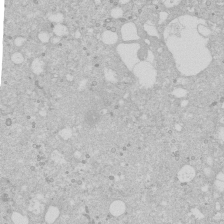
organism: Human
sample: Caco-2 cells